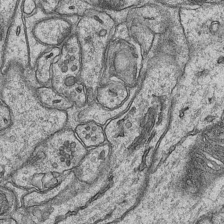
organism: Mouse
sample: CA1 Hippocampus